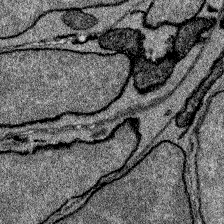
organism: Zebrafish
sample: Larval olfactory bulb